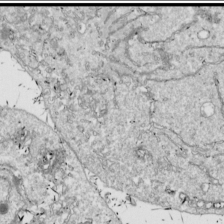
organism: Drosophila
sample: Cell division; meiosis; drosophila spermatocytes